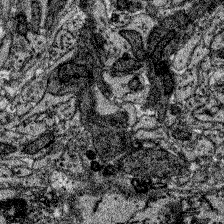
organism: Zebrafish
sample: Larval olfactory bulb